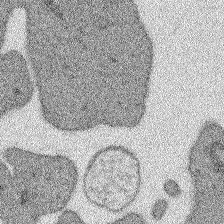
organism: Human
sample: HeLa cells